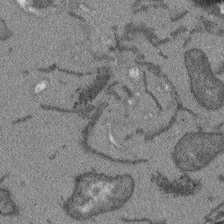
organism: Arabidopsis thaliana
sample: Root tip